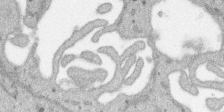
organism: Human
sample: Lung epithelial cells infected with SARS-CoV-2